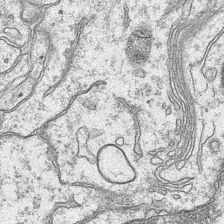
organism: Mouse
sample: CA1 Hippocampus